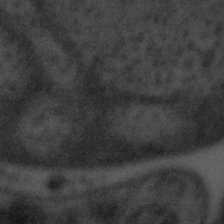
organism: Tuwongella immobilis